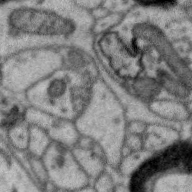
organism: Zebra finch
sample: Brain